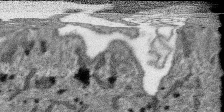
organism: Human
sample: Lung epithelial cells infected with SARS-CoV-2